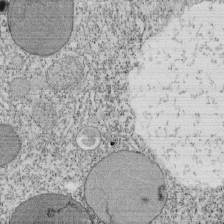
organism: Tetrahymena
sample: Cilia in tetrahymena